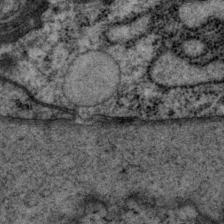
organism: P. pacificus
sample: Pharynx